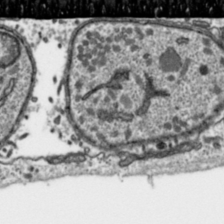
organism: Toxoplasma gondii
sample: Parasites in a vacuole inside a host cell